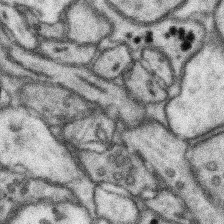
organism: Mouse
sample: Somatosensory cortex neuropil